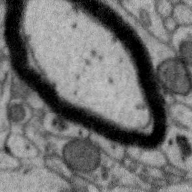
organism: Zebra finch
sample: Brain